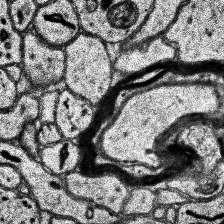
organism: Human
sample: Temporal Lobe